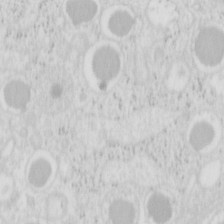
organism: Mouse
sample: Pancreas